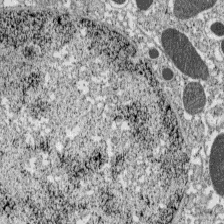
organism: C57BL Mouse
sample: Pancreatic islet